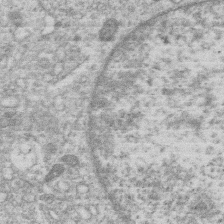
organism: Human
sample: Macrophage cells